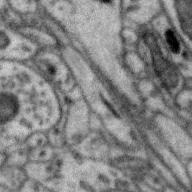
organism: Zebra finch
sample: Brain